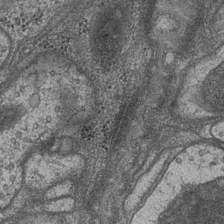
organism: Drosophila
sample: Optic medulla